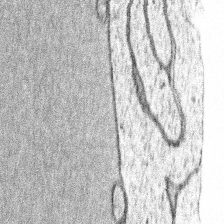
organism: Human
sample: HeLa cells